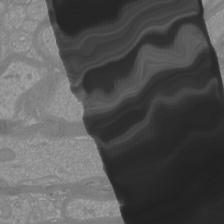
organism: Mouse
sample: Cortical neurons